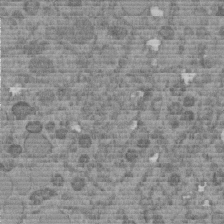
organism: C. elegans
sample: C. elegans embryo early stage